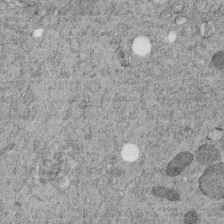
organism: C. elegans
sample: C. elegans embryo early stage